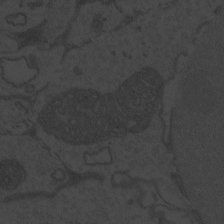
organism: Zebrafish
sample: Macrophage infected with Toxoplasma gondii